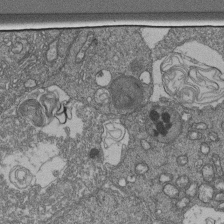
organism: Human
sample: Retinal organoid Rod and Cone cells